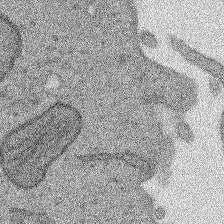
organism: Human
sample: HeLa cells